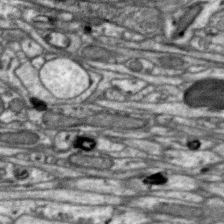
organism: Zebra finch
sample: Brain